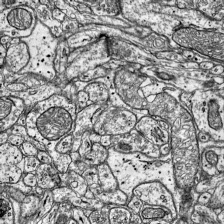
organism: Mouse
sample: Visual Cortex